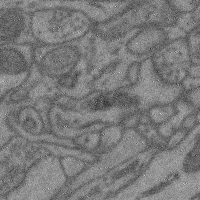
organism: Mouse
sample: Cerebral cortex